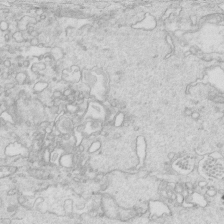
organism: Mouse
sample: Multiciliated cells